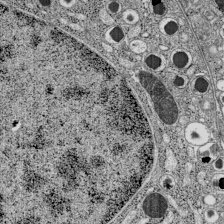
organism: C57BL Mouse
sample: Pancreatic islet